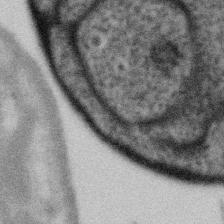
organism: Gemmata obscuriglobus